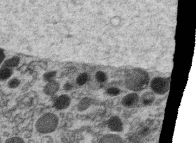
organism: C. elegans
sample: C. elegans oocyte; sperm cells